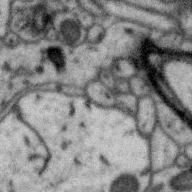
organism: Zebra finch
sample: Brain